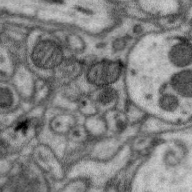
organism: Zebra finch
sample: Brain